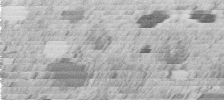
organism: C. elegans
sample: C. elegans embryo early stage